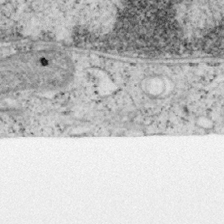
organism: Mouse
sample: OT-I killer T cells with ID8 ovarian cancer cells